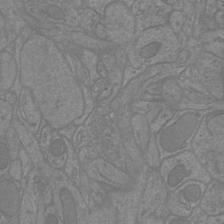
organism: Mouse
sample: Cortical neurons